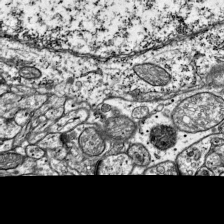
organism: Mouse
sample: Visual Cortex